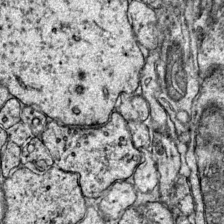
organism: Mouse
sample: Primary visual cortex